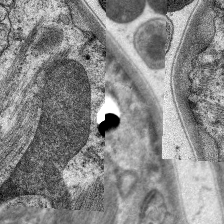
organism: C. elegans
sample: Pharynx